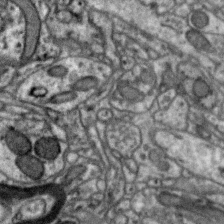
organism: Zebra finch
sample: Brain